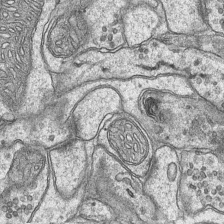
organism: Mouse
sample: CA1 Hippocampus